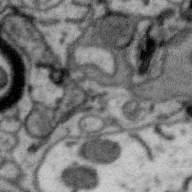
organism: Zebra finch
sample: Brain